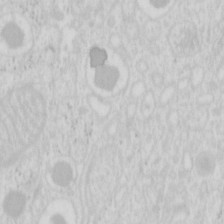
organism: Mouse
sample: Pancreas